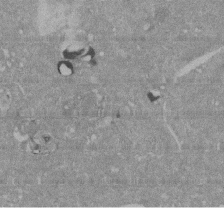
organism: Mouse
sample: ED-1 cell nuclei; centrioles